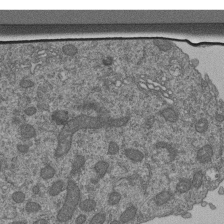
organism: Human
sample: Retinal organoid Rod and Cone cells